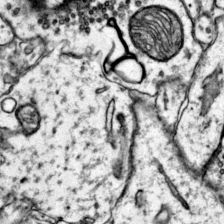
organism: Mouse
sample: Primary visual cortex